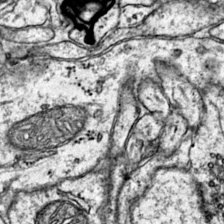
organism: Mouse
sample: Primary visual cortex